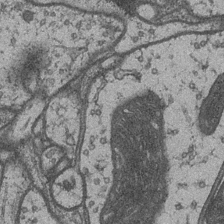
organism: Drosophila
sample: Optic medulla